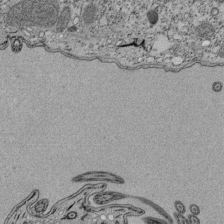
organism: Tetrahymena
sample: Cilia in tetrahymena